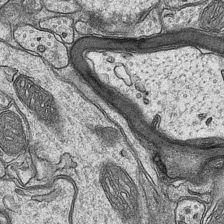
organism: Mouse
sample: CA1 Hippocampus